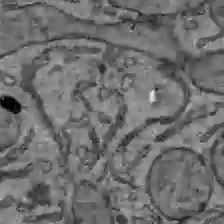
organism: C57BL Mouse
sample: Liver